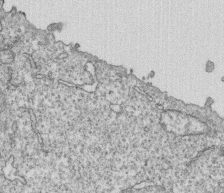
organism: Human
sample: HeLa cell HIV synapse